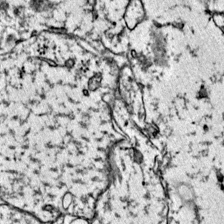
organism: Mouse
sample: Primary visual cortex